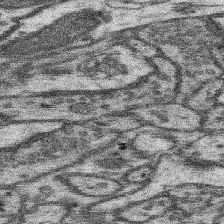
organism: Mouse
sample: Somatosensory cortex neuropil